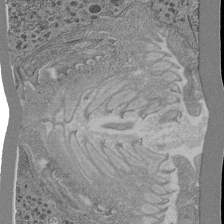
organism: C. elegans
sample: C. elegans pharynx